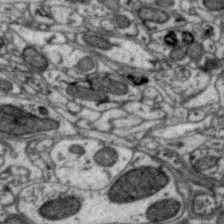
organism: Zebra finch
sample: Brain